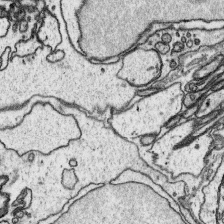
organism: Platynereis dumerilii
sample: Parapodia